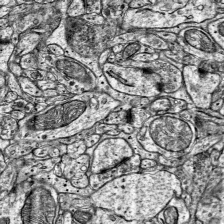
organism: Mouse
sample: Visual Cortex